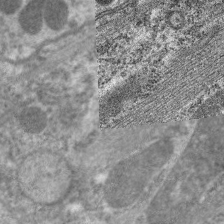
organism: C. elegans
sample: Pharynx